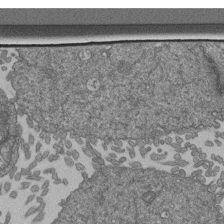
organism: Human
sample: Retinal organoid Rod and Cone cells